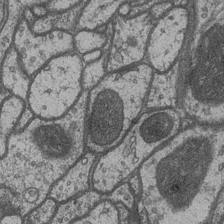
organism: Drosophila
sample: Optic medulla